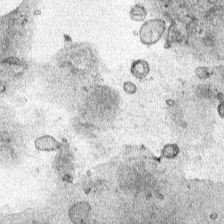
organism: Human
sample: Mitochondria in HCT116 cells